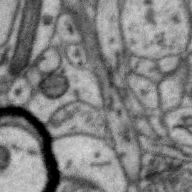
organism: Zebra finch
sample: Brain